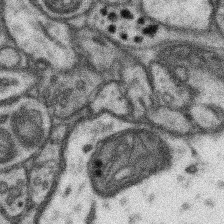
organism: Mouse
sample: Somatosensory cortex neuropil